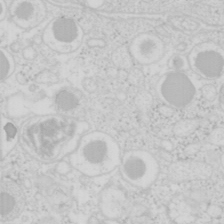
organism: Mouse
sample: Pancreas